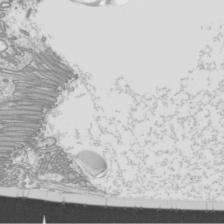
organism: Mouse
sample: Cilia; mouse epididymis